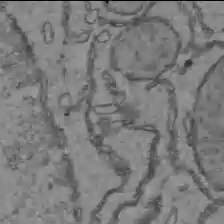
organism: C57BL Mouse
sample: Liver